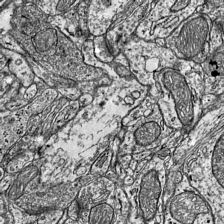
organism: Mouse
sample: Visual Cortex